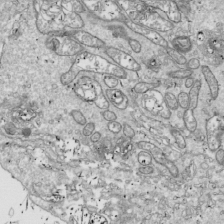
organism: Drosophila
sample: Cell division; meiosis; drosophila spermatocytes